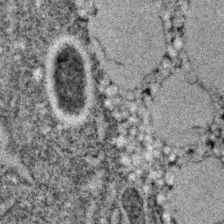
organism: C. elegans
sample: C. elegans embryo